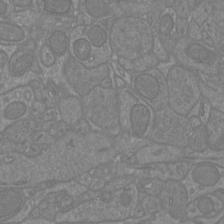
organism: Mouse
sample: Cortical neurons